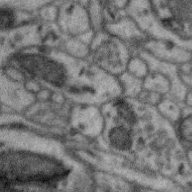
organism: Zebra finch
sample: Brain